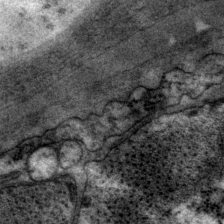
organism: P. pacificus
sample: Pharynx